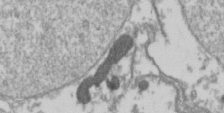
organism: Drosophila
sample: Cell division; meiosis; drosophila spermatocytes